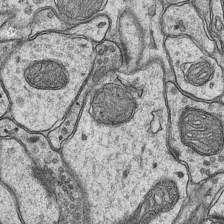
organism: Mouse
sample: CA1 Hippocampus